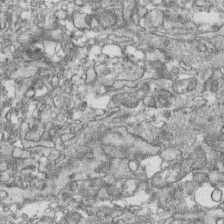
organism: Human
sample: CRL-1474